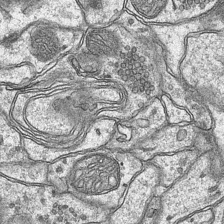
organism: Mouse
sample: CA1 Hippocampus